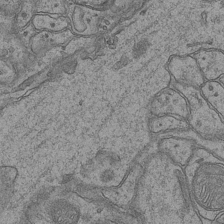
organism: Mouse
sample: CA1 Hippocampus